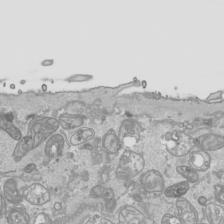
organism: Human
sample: Mitochondria in HCT116 cells